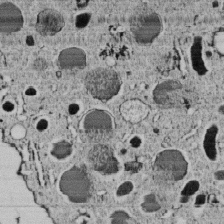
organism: C. elegans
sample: C. elegans embryo early stage